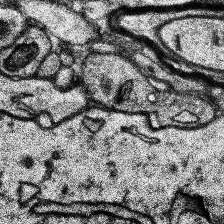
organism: Human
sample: Temporal Lobe